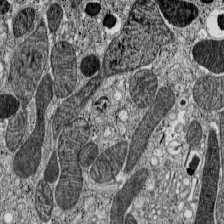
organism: C57BL Mouse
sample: Pancreatic islet